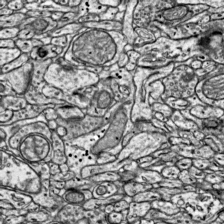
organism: Mouse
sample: Visual Cortex